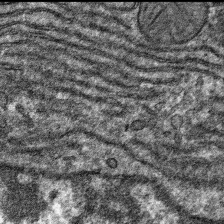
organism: Mouse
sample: Mouse hepatocytes